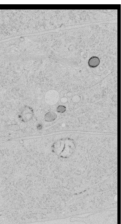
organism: Human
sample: Mitochondria in HCT116 cells